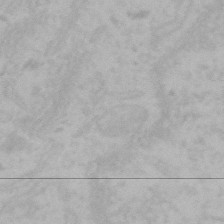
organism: Mouse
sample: Choroid plexus